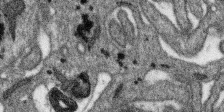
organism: Human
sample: Lung epithelial cells infected with SARS-CoV-2